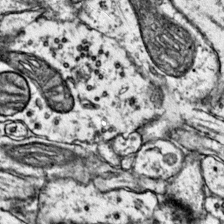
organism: Mouse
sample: Primary visual cortex